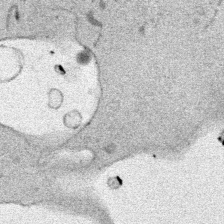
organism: Mouse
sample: Cancer cell death in ED-1 cells